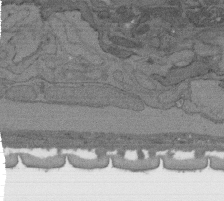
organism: C. elegans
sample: AFD neurons C. elegans